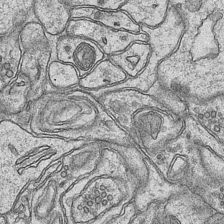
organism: Mouse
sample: CA1 Hippocampus